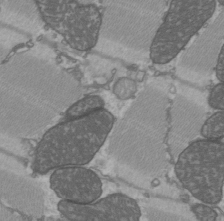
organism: C57BL Mouse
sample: Heart